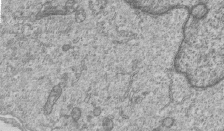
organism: Human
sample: MDA-MB-231 cells